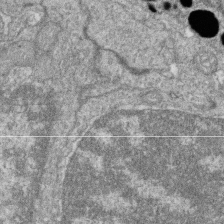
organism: Zebrafish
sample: Cilia; retinal pigment epithelium